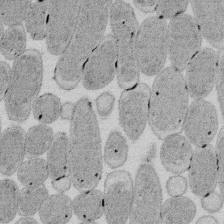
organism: E. coli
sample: Bacterial nucleoid